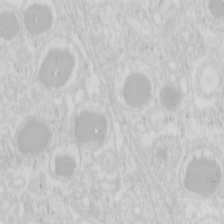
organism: Mouse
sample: Pancreas